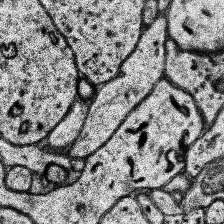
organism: Human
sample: Temporal Lobe